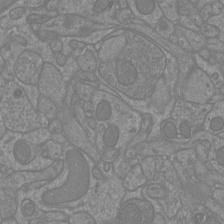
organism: Mouse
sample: Cortical neurons